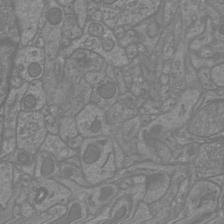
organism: Mouse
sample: Cortical neurons